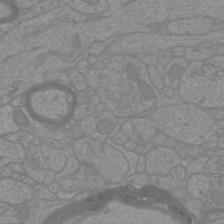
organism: Mouse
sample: Cortical neurons